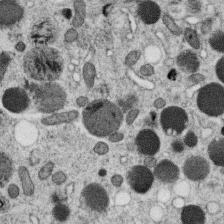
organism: C. elegans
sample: C. elegans oocyte; sperm cells